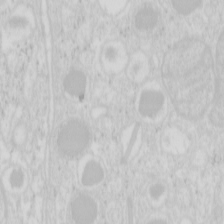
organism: Mouse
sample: Pancreas